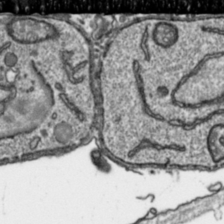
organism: Toxoplasma gondii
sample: Parasites in a vacuole inside a host cell